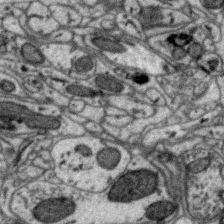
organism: Zebra finch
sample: Brain